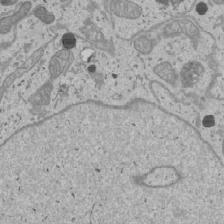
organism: Human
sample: Mitochondria in U2OS cells